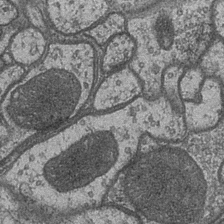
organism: Drosophila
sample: Optic medulla